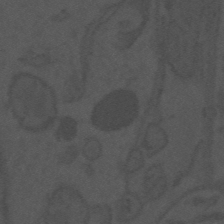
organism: Mouse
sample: Suprachiasmatic nucleus